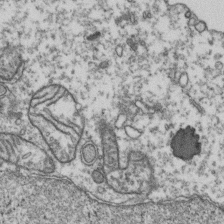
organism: Human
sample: Activated Jurkat CD4+ T cells